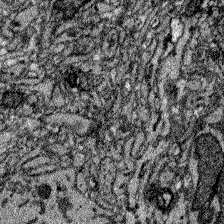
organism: Zebrafish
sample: Larval olfactory bulb